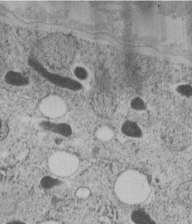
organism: C. elegans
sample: C. elegans embryo early stage